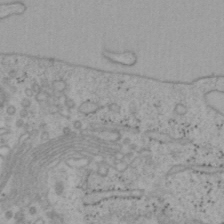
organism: Human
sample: HeLa cells